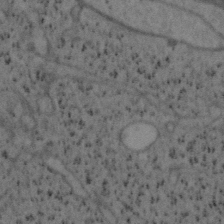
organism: Human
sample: HeLa cells